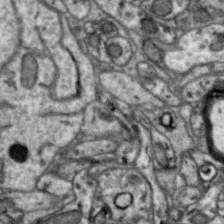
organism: Zebra finch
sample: Brain